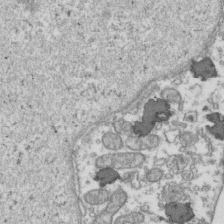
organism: Human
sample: Activated Jurkat CD4+ T cells